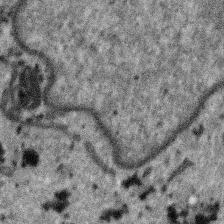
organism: Human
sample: Lung epithelial cells infected with SARS-CoV-2